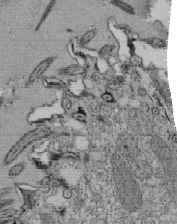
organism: Tetrahymena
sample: Cilia in tetrahymena